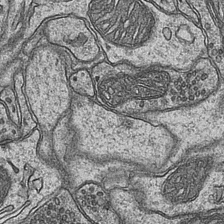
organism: Mouse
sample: CA1 Hippocampus